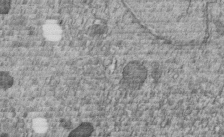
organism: C. elegans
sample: C. elegans embryo early stage